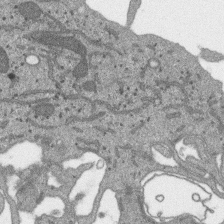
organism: Human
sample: Lung epithelial cells infected with SARS-CoV-2